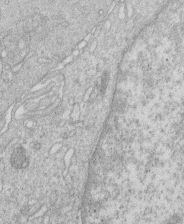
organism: Human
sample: Macrophage cells